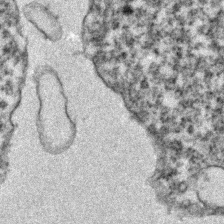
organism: Zebrafish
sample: Zebrafish embryo